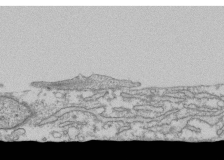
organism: Human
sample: Fibroblast cells